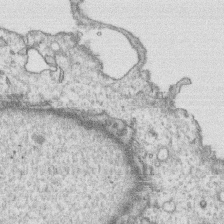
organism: Human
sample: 1205lu cells